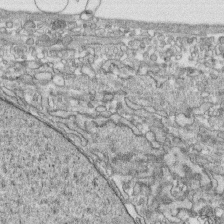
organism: Human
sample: CRL-1474